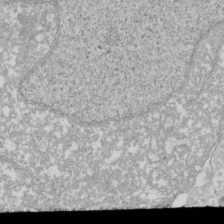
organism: Xenopus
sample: Cilia; centrioles in frog embryo cells